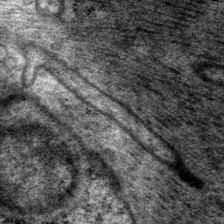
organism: P. pacificus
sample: Pharynx